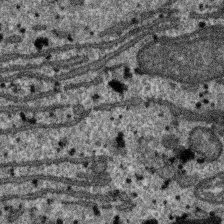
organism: Human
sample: Lung epithelial cells infected with SARS-CoV-2